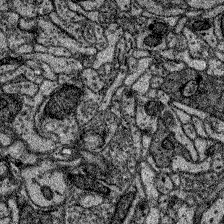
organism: Zebrafish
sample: Larval olfactory bulb